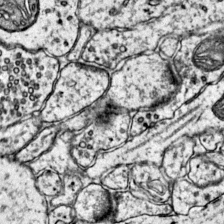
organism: Mouse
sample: Primary visual cortex